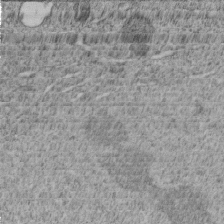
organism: C. elegans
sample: C. elegans embryo early stage